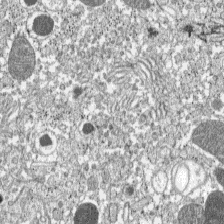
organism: C57BL Mouse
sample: Pancreatic islet